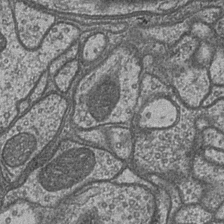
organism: Drosophila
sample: Optic medulla